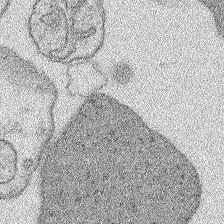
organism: Human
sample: HeLa cells